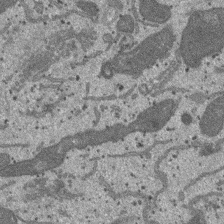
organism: Human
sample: Lung epithelial cells infected with SARS-CoV-2